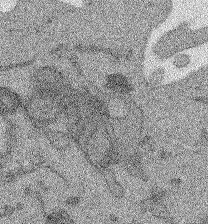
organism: Human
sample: HeLa cells